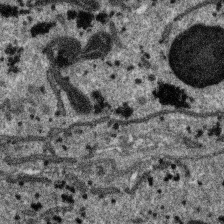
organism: Human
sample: Lung epithelial cells infected with SARS-CoV-2